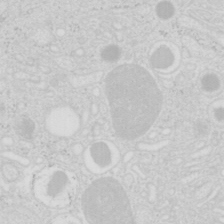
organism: Mouse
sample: Pancreas